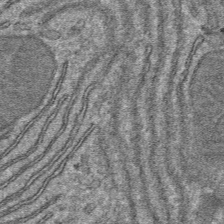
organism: Mouse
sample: Mouse hepatocytes